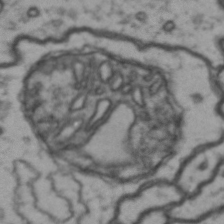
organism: Drosophila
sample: Brain